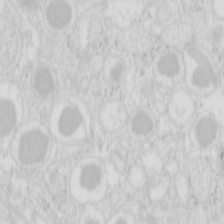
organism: Mouse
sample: Pancreas